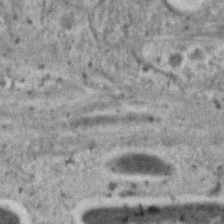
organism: C. elegans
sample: C. elegans embryo